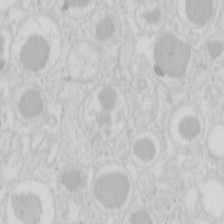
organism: Mouse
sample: Pancreas